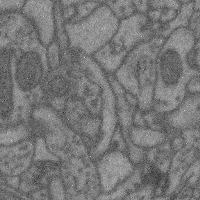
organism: Mouse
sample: Cerebral cortex